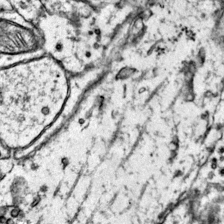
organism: Mouse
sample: Primary visual cortex